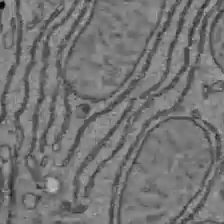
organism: C57BL Mouse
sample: Liver